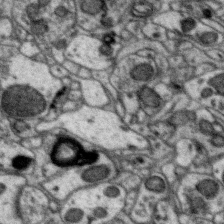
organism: Zebra finch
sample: Brain